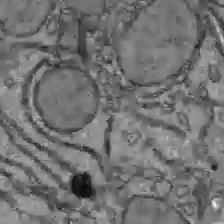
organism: C57BL Mouse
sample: Liver